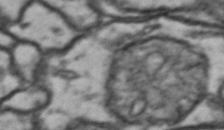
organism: Drosophila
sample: Brain